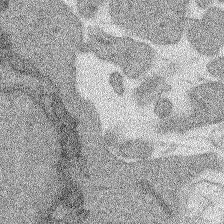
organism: Human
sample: HeLa cells